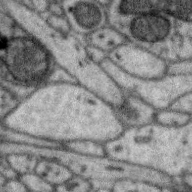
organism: Zebra finch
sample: Brain